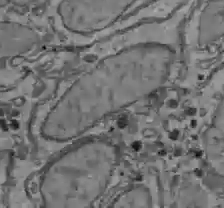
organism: C57BL Mouse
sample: Liver